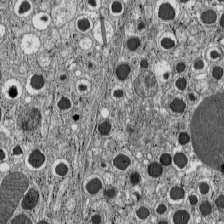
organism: C57BL Mouse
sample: Pancreatic islet